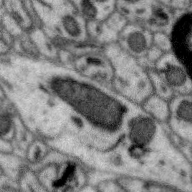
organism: Zebra finch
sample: Brain